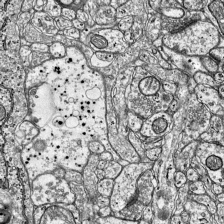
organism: Mouse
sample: Visual Cortex